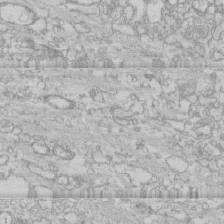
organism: Human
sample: CRL-1474